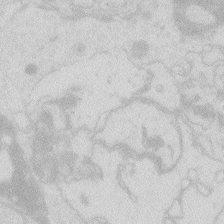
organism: Zebrafish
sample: Macrophage